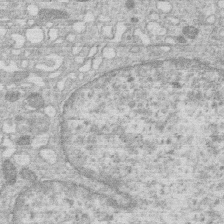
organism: Human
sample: Macrophage cells